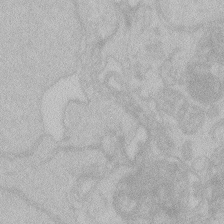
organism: Zebrafish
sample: Macrophage infected with Toxoplasma gondii